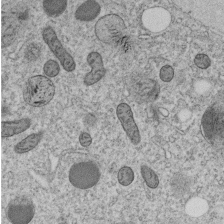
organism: C. elegans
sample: C. elegans embryo early stage